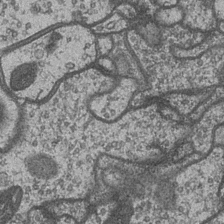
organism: Drosophila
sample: Optic medulla